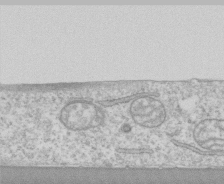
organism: Human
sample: CRL-1474